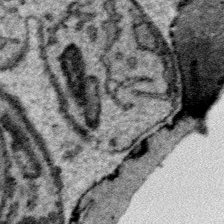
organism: Plasmodium falciparum